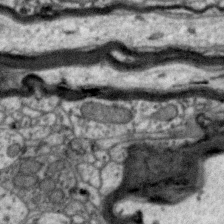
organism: Zebra finch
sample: Brain